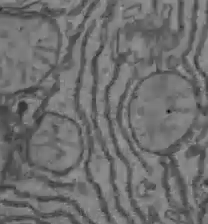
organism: C57BL Mouse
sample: Liver